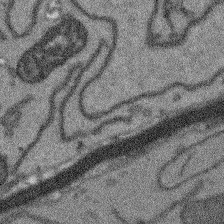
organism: Arabidopsis thaliana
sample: Root tip